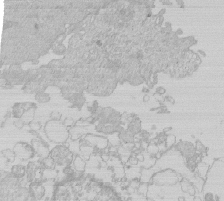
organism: Human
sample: Macrophage cells